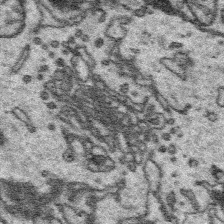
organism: Platynereis dumerilii